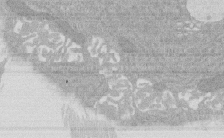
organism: Rat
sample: Salivary granule